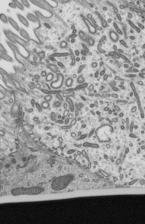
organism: Mouse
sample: Mouse epididymis efferent ductule cilia